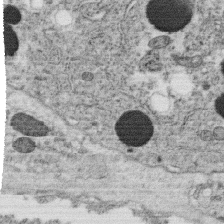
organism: C. elegans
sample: C. elegans oocyte; sperm cells